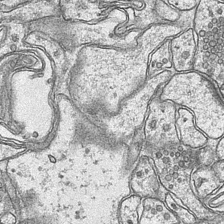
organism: Mouse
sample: CA1 Hippocampus